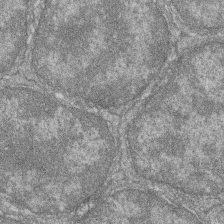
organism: Zebrafish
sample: Cilia; retinal pigment epithelium